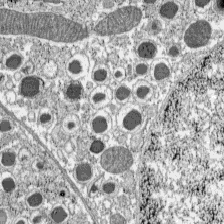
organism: C57BL Mouse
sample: Pancreatic islet